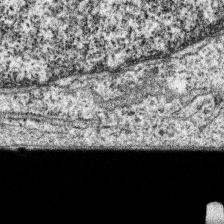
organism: Human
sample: HeLa cells